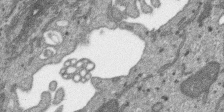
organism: Human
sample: Lung epithelial cells infected with SARS-CoV-2